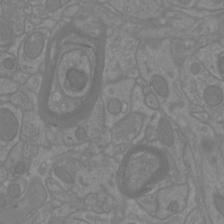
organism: Mouse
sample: Cortical neurons